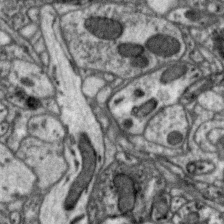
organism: Zebra finch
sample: Brain